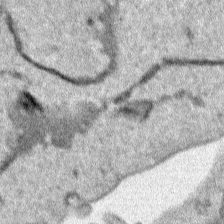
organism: Human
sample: Mitochondria in HCT116 cells